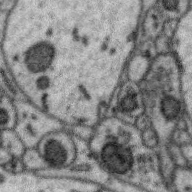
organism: Zebra finch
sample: Brain